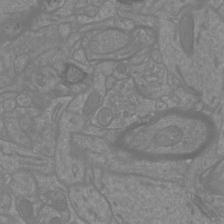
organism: Mouse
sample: Cortical neurons